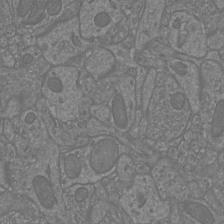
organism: Mouse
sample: Cortical neurons